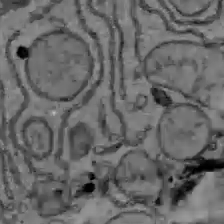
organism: C57BL Mouse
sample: Liver